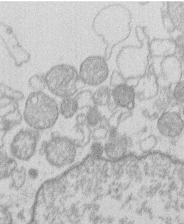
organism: Human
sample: Macrophage cells